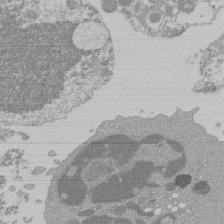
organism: Mouse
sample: Activated Pmel transgenic CD8+ T Cells